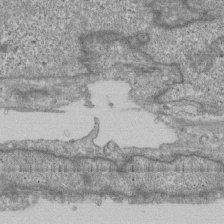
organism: Human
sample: Fibroblast cells